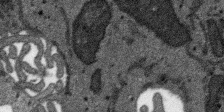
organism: Human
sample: Lung epithelial cells infected with SARS-CoV-2